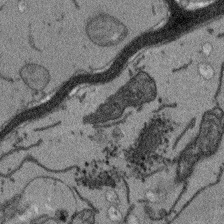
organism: Arabidopsis thaliana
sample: Root tip